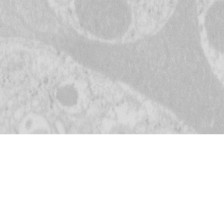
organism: Mouse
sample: Pancreas